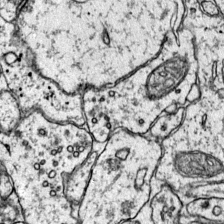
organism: Mouse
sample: Primary visual cortex